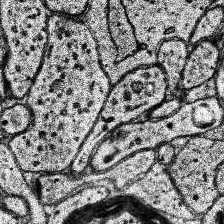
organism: Human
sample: Temporal Lobe